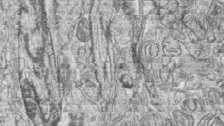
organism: Zebrafish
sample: synaptic ribbons in rod cells and cone cells